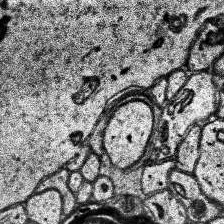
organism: Human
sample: Temporal Lobe